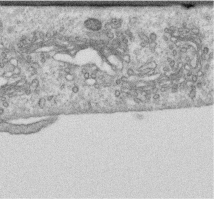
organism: Human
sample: Centriole in RPE cells